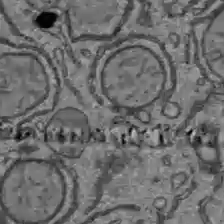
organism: C57BL Mouse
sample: Liver